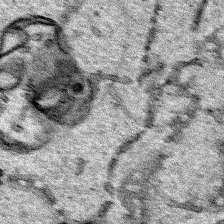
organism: Human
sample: Mitochondria in HCT116 cells